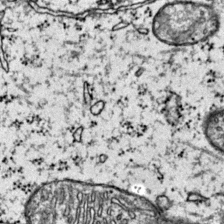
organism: Mouse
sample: Primary visual cortex